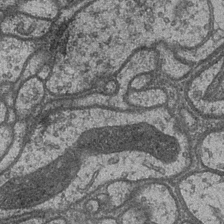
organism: Drosophila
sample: Optic medulla